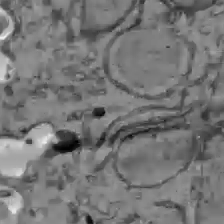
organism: C57BL Mouse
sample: Liver